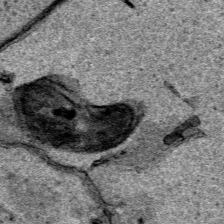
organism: Human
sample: Mitochondria in HCT116 cells